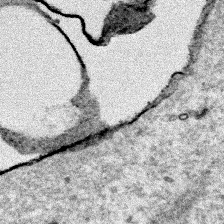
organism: Human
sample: Mitochondria in HCT116 cells